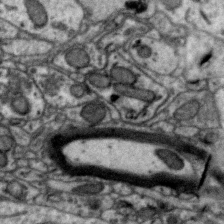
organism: Zebra finch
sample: Brain